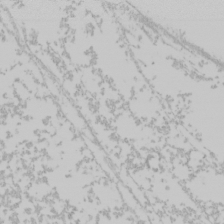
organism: Mouse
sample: Cancer cell death in ED-1 cells